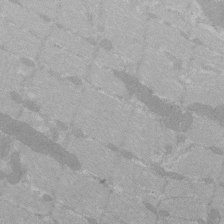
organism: C57BL Mouse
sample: Tibialis anterior muscle cell